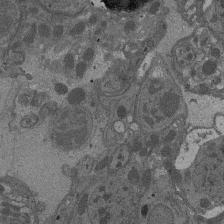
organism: Drosophila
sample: Antenna